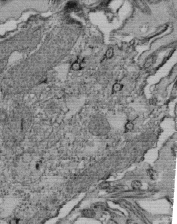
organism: Tetrahymena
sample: Cilia in tetrahymena